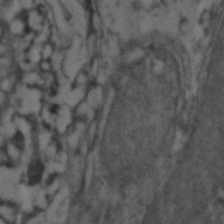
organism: Zebrafish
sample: Zebrafish embryo